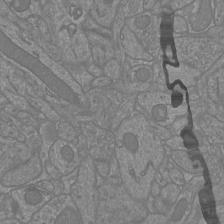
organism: Mouse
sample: Cortical neurons